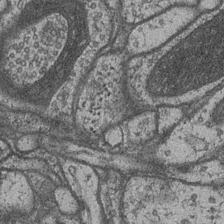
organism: Drosophila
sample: Optic medulla